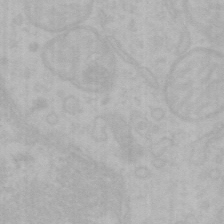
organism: Mouse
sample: Choroid plexus